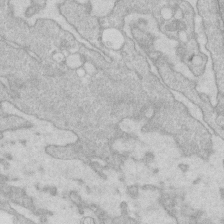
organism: Human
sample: Fibroblast cells